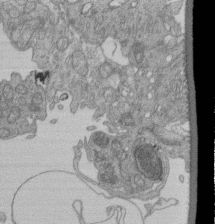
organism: Human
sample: Retinal organoid Rod and Cone cells